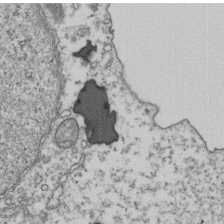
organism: Human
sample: Activated Jurkat CD4+ T cells